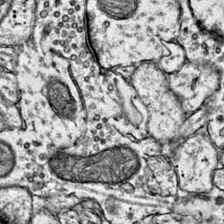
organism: Mouse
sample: Primary visual cortex